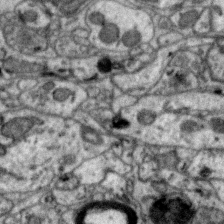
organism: Zebra finch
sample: Brain